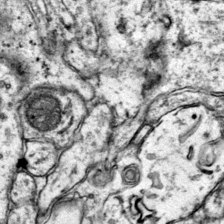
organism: Mouse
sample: Primary visual cortex